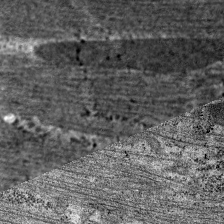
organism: C. elegans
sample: Pharynx